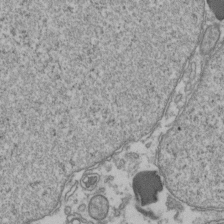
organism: Human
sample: Activated Jurkat CD4+ T cells